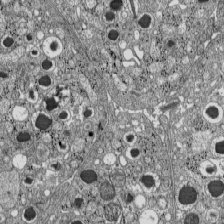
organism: C57BL Mouse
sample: Pancreatic islet